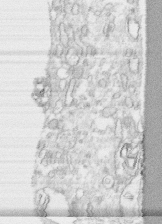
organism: Human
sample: CRL-1474